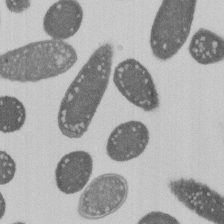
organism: E. coli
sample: Bacterial nucleoid